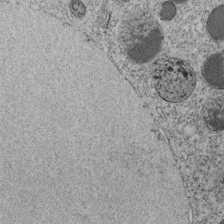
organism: C. elegans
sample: C. elegans embryo early stage